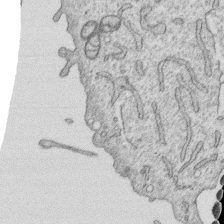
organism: Human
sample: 1205lu cells